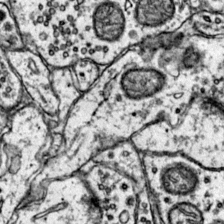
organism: Mouse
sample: Primary visual cortex